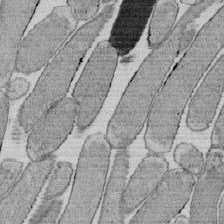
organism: E. coli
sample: Bacterial nucleoid